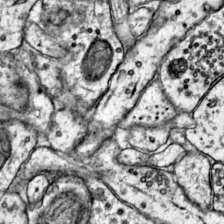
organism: Mouse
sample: Primary visual cortex